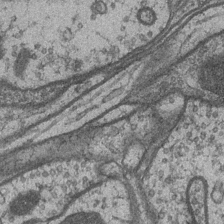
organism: Drosophila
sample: Optic medulla